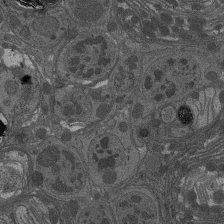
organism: Drosophila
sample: Antenna